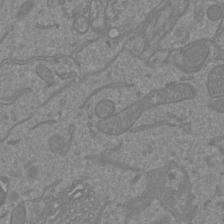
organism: Mouse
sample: Cortical neurons